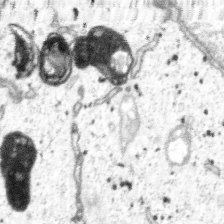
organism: Human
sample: HeLa cells